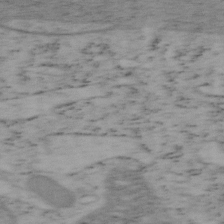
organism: Mouse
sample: OT-I killer T cells with ID8 ovarian cancer cells